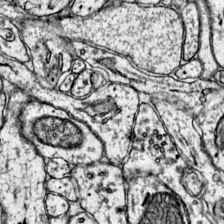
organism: Mouse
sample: Primary visual cortex